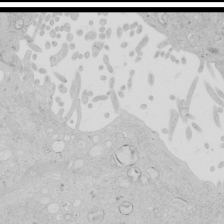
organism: Human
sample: Mitochondria in HCT116 cells